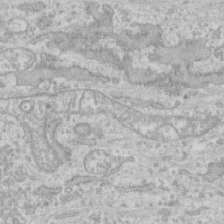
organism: Human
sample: CRL-1474